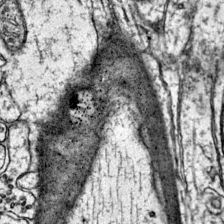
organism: Mouse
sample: Primary visual cortex